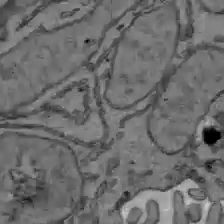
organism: C57BL Mouse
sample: Liver